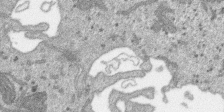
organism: Human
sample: Lung epithelial cells infected with SARS-CoV-2